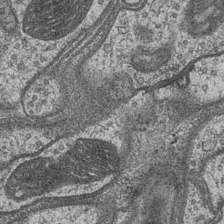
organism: Drosophila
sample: Optic medulla